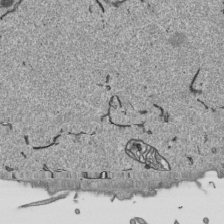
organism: Human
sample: Mitochondria in HCT116 cells